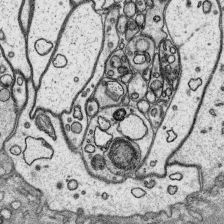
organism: Platynereis dumerilii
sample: Parapodia